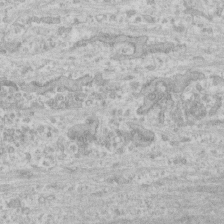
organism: Human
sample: CRL-1474